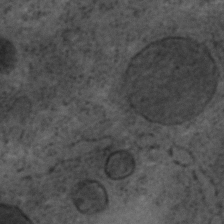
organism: C. elegans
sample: C. elegans embryo